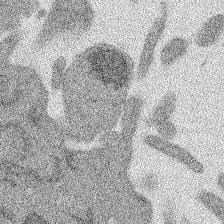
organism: Human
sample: HeLa cells